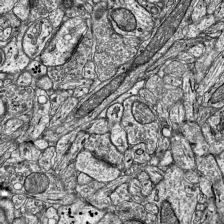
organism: Mouse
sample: Visual Cortex